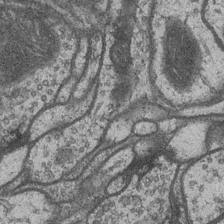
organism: Drosophila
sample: Optic medulla